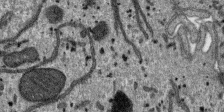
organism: Human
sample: Lung epithelial cells, uninfected (mock) control